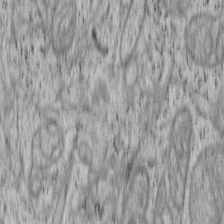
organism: Human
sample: HeLa cells